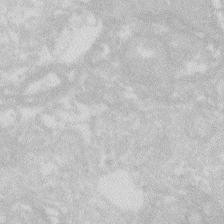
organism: Zebrafish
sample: Macrophage